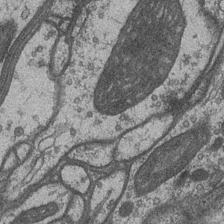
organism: Drosophila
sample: Optic medulla